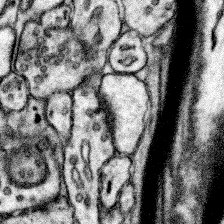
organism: Mouse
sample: Somatosensory cortex neuropil